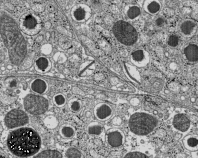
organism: C57BL Mouse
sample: Pancreatic islet